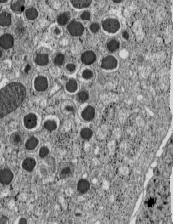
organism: C57BL Mouse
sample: Pancreatic islet